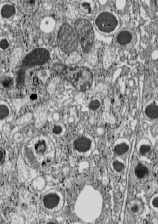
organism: C57BL Mouse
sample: Pancreatic islet